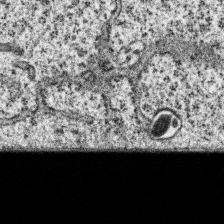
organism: Human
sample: HeLa cells